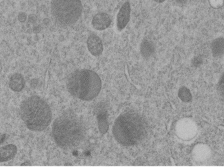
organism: C. elegans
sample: C. elegans embryo early stage